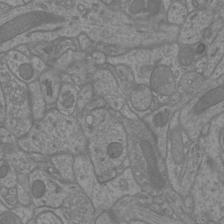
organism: Mouse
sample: Cortical neurons